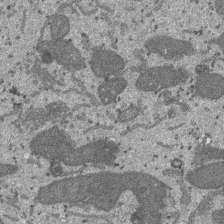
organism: Human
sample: Lung epithelial cells infected with SARS-CoV-2